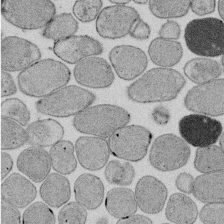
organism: E. coli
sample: Bacterial nucleoid